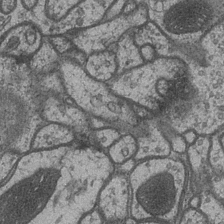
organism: Drosophila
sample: Optic medulla